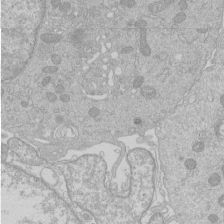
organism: Human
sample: Macrophage cells